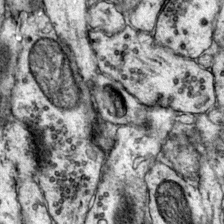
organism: Mouse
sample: Primary visual cortex